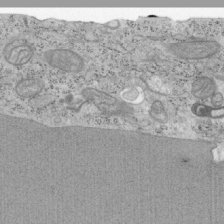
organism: Human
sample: HeLa cells